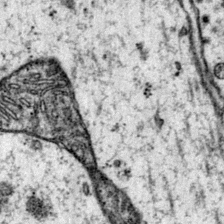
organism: Mouse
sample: Primary visual cortex